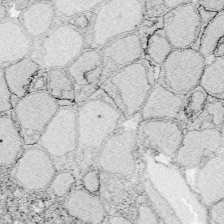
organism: Zebrafish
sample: Whole-Brain